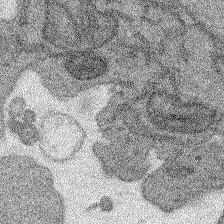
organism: Human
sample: HeLa cells